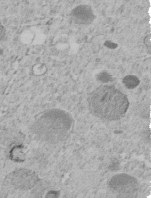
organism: C. elegans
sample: C. elegans embryo early stage